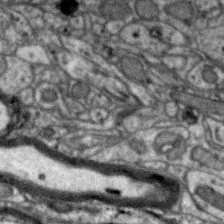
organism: Zebra finch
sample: Brain